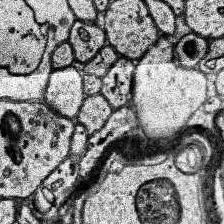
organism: Human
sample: Temporal Lobe